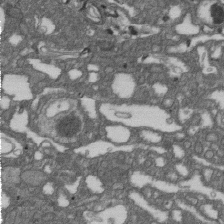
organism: Drosophila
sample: Nephrocyte